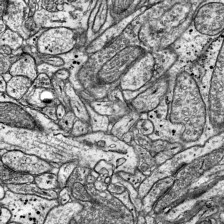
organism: Mouse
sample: Visual Cortex